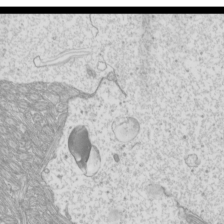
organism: Mouse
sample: Cilia; mouse epididymis